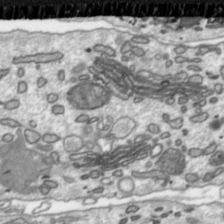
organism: Toxoplasma gondii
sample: Parasites in a vacuole inside a host cell